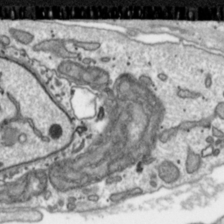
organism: Toxoplasma gondii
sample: Parasites in a vacuole inside a host cell